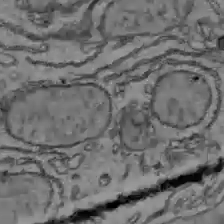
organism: C57BL Mouse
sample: Liver